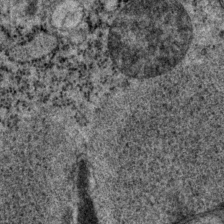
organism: P. pacificus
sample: Pharynx